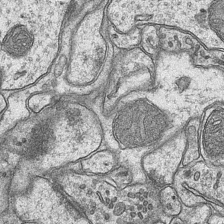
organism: Mouse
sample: CA1 Hippocampus